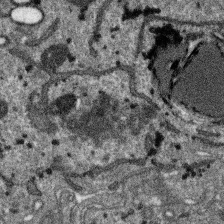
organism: Human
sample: Lung epithelial cells infected with SARS-CoV-2